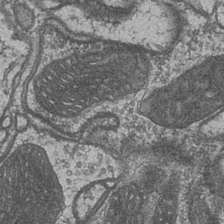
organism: Drosophila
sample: Optic medulla